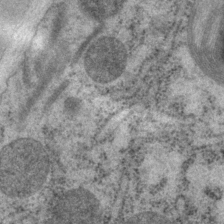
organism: P. pacificus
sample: Pharynx